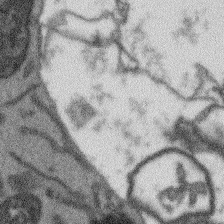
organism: Arabidopsis thaliana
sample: Root tip